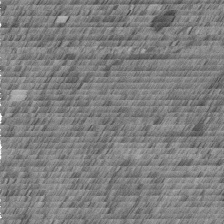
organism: C. elegans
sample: C. elegans embryo early stage